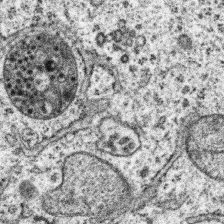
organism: Human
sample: HeLa cells